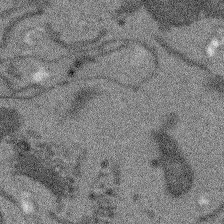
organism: Arabidopsis thaliana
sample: Root tip